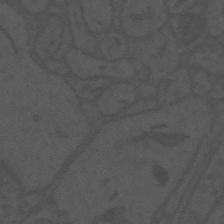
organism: Mouse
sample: Suprachiasmatic nucleus